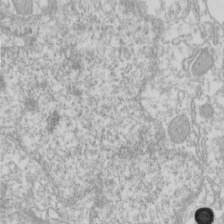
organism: Xenopus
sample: Cilia; centrioles in frog embryo cells